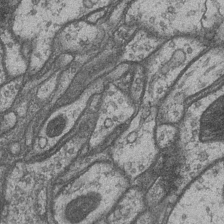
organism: Drosophila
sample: Optic medulla